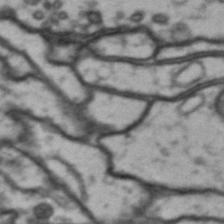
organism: Drosophila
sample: Brain